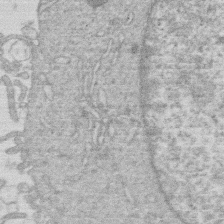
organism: Human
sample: Macrophage cells